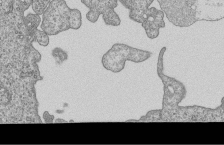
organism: Human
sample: MDA-MB-231 cells